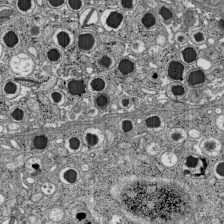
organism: C57BL Mouse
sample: Pancreatic islet